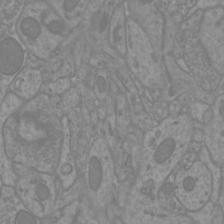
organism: Mouse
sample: Cortical neurons